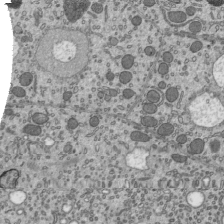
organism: Mouse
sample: Mouse epididymis efferent ductule cilia